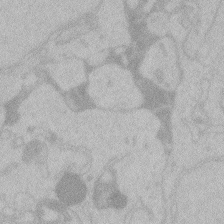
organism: Zebrafish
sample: Macrophage infected with Toxoplasma gondii